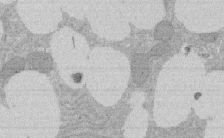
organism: Rat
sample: Salivary granule